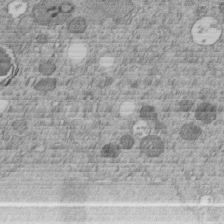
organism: C. elegans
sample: C. elegans embryo early stage